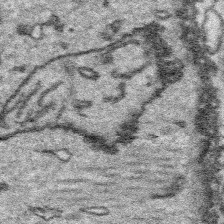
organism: Platynereis dumerilii